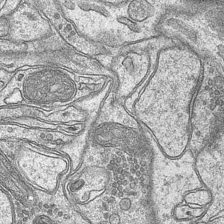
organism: Mouse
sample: CA1 Hippocampus